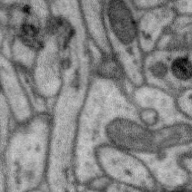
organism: Zebra finch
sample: Brain